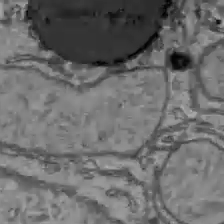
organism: C57BL Mouse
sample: Liver